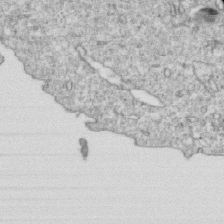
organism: Mouse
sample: Activated OT-1 CD8+ T cells